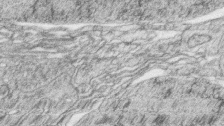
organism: Zebrafish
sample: synaptic ribbons in rod cells and cone cells